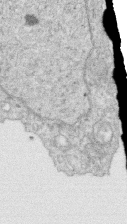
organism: Human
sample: HeLa cell HIV synapse